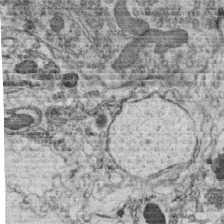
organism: C. elegans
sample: C. elegans oocyte; sperm cells